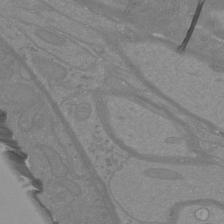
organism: Mouse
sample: Cortical neurons